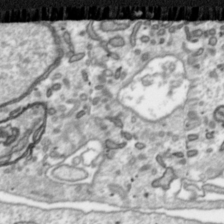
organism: Toxoplasma gondii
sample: Parasites in a vacuole inside a host cell